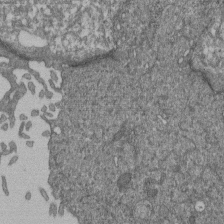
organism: Human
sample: Retinal organoid Rod and Cone cells